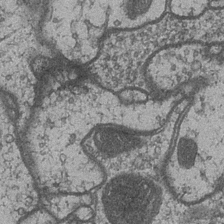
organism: Drosophila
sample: Optic medulla